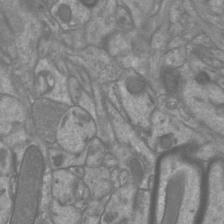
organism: Mouse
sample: Cortical neurons